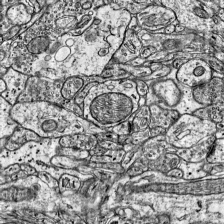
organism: Mouse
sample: Visual Cortex